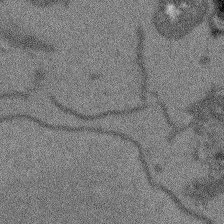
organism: Arabidopsis thaliana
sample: Root tip